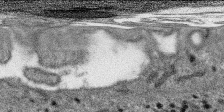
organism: Human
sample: Lung epithelial cells infected with SARS-CoV-2